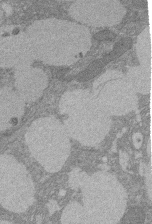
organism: Rat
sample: Salivary granule